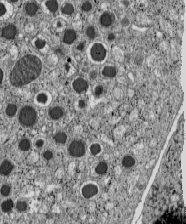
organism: C57BL Mouse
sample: Pancreatic islet